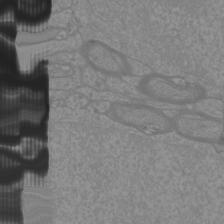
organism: Mouse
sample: Cortical neurons